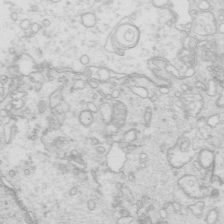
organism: Mouse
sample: Multiciliated cells